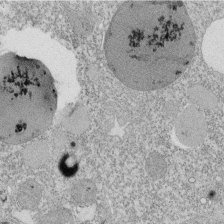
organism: Tetrahymena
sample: Cilia in tetrahymena